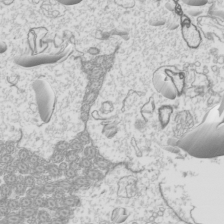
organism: Mouse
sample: Cilia; mouse epididymis